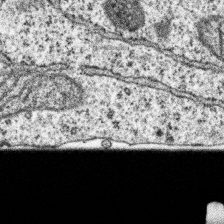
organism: Human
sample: HeLa cells